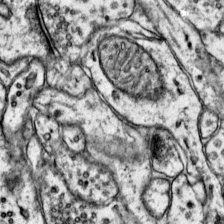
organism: Mouse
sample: Primary visual cortex